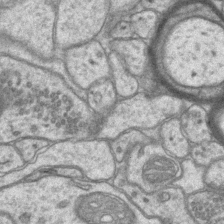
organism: Mouse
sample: CA1 Hippocampus